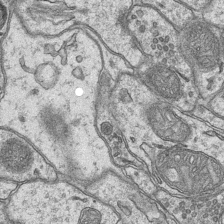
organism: Mouse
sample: CA1 Hippocampus